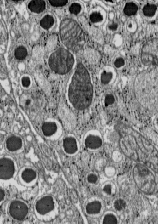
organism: C57BL Mouse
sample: Pancreatic islet